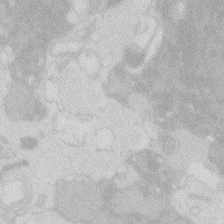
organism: Zebrafish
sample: Macrophage